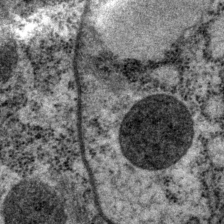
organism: P. pacificus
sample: Pharynx